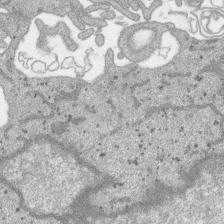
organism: Human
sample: Lung epithelial cells infected with SARS-CoV-2